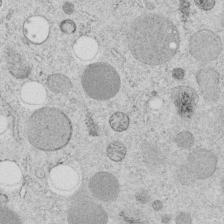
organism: C. elegans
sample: C. elegans embryo early stage